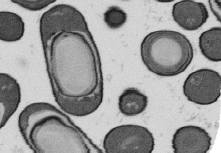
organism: B. subtilis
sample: Bacterial spore